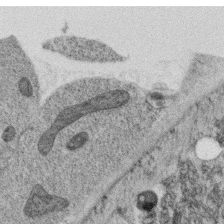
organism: C. elegans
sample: C. elegans oocyte; sperm cells